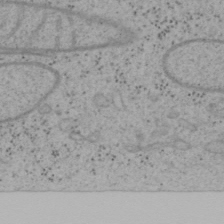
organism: Human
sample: HeLa cells